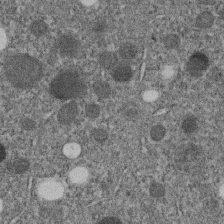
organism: C. elegans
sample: C. elegans embryo early stage